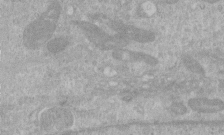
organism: Human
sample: Centriole in RPE cells